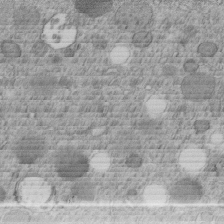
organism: C. elegans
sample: C. elegans embryo early stage